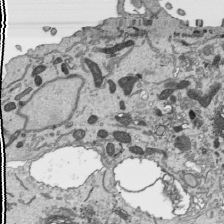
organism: Human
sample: Mitochondria in HCT116 cells